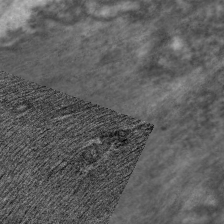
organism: C. elegans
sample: Pharynx